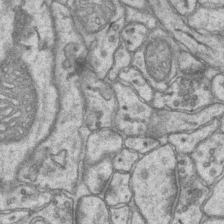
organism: Mouse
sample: CA1 Hippocampus